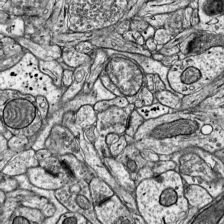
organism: Mouse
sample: Visual Cortex